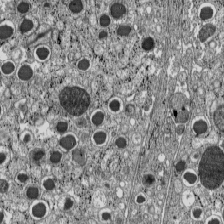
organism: C57BL Mouse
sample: Pancreatic islet